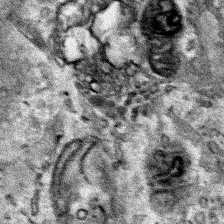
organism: Human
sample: Mitochondria in HCT116 cells